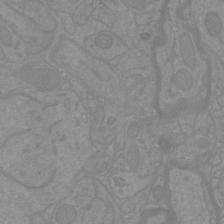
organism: Mouse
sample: Cortical neurons